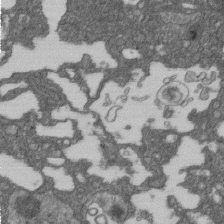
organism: Drosophila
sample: Nephrocyte